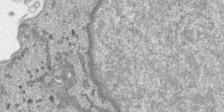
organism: Human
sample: Lung epithelial cells infected with SARS-CoV-2